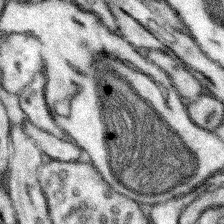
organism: Mouse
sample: Somatosensory cortex neuropil